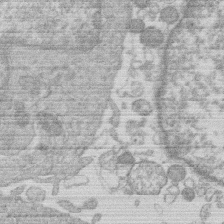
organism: Human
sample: Macrophage cells